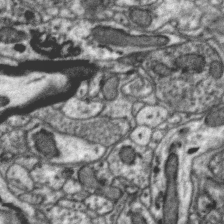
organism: Zebra finch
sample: Brain